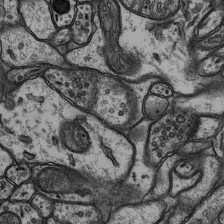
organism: Rat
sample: Hippocampus